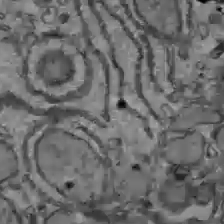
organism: C57BL Mouse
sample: Liver